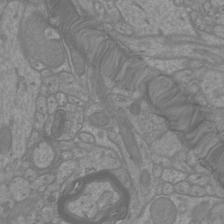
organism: Mouse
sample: Cortical neurons